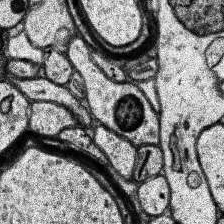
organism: Human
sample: Temporal Lobe